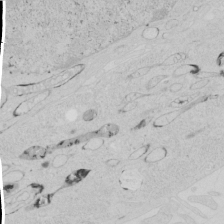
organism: Human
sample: Mitochondria in HCT116 cells